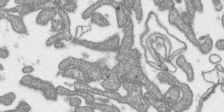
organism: Human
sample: Lung epithelial cells infected with SARS-CoV-2